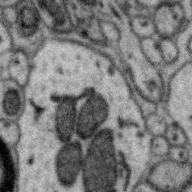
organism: Zebra finch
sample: Brain